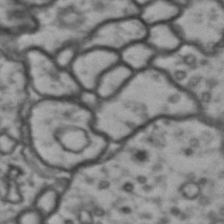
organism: Drosophila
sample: Brain